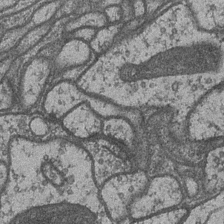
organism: Drosophila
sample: Optic medulla